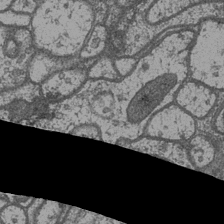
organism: Drosophila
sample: Optic medulla